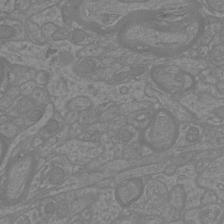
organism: Mouse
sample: Cortical neurons